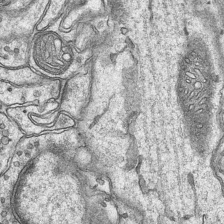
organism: Mouse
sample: CA1 Hippocampus